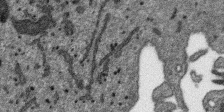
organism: Human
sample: Lung epithelial cells infected with SARS-CoV-2